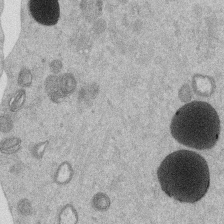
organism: Mouse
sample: Dividing mouse embryo 1 cell stage